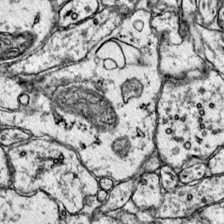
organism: Mouse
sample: Primary visual cortex